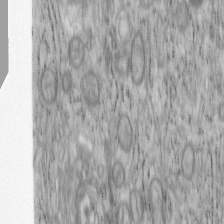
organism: Human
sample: HeLa cells